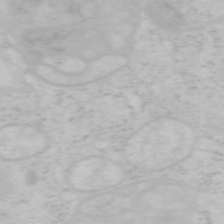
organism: Mouse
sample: OT-I killer T cells with ID8 ovarian cancer cells